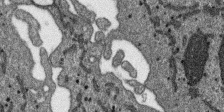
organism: Human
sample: Lung epithelial cells infected with SARS-CoV-2